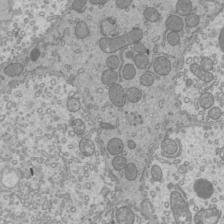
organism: Mouse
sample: Cilia; mouse epididymis